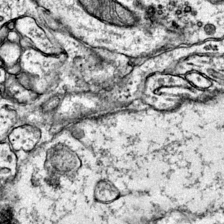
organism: Mouse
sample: Primary visual cortex